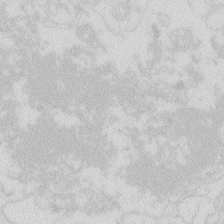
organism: Zebrafish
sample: Macrophage